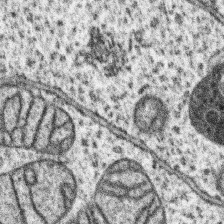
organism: Human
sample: HeLa cells